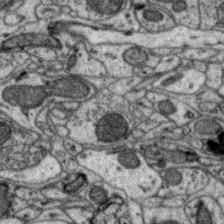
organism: Zebra finch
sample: Brain